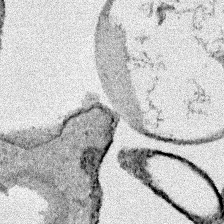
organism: Human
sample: Mitochondria in HCT116 cells